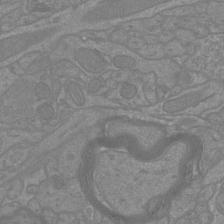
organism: Mouse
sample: Cortical neurons